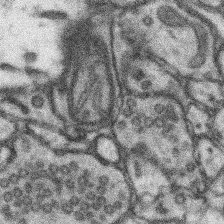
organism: Mouse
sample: Somatosensory cortex neuropil